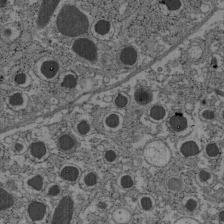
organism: C57BL Mouse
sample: Pancreatic islet